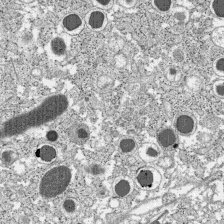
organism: C57BL Mouse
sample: Pancreatic islet